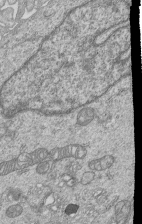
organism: Human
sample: MDA-MB-231 cells